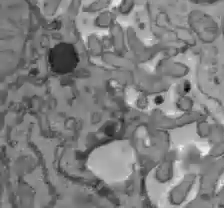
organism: C57BL Mouse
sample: Liver